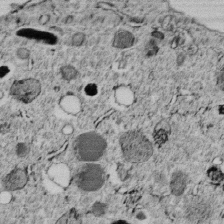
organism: C. elegans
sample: C. elegans embryo early stage